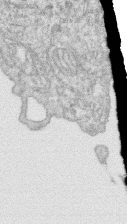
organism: Human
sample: HeLa cell HIV synapse